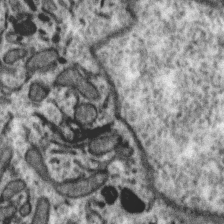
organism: Zebra finch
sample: Brain